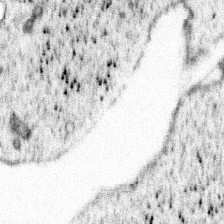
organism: Human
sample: HeLa cells